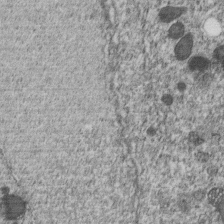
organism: C. elegans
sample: C. elegans embryo early stage